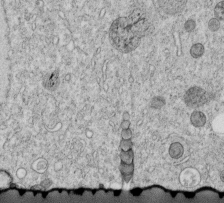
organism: C. elegans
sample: C. elegans embryo early stage